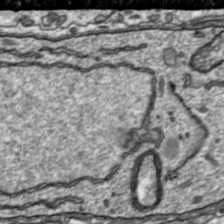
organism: Toxoplasma gondii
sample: Parasites in a vacuole inside a host cell